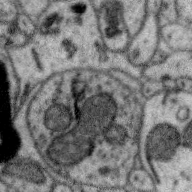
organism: Zebra finch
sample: Brain